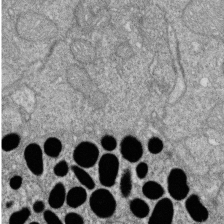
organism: Zebrafish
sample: Cilia; retinal pigment epithelium